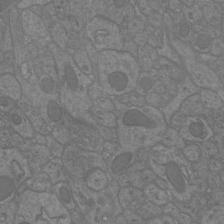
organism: Mouse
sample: Cortical neurons